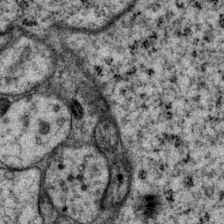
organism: P. pacificus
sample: Pharynx